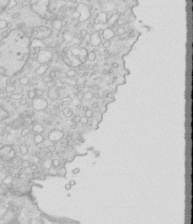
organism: Mouse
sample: Multiciliated cells